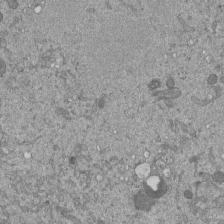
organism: Mouse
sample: ED-1 cell nuclei; centrioles